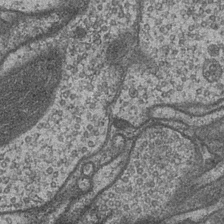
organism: Drosophila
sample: Optic medulla